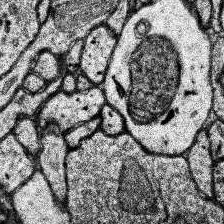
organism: Human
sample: Temporal Lobe